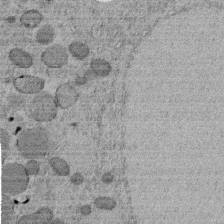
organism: C. elegans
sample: C. elegans embryo early stage